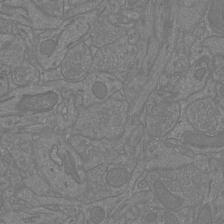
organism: Mouse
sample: Cortical neurons